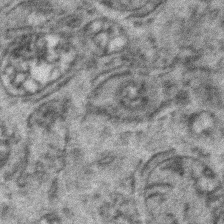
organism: Zebrafish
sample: Zebrafish embryo